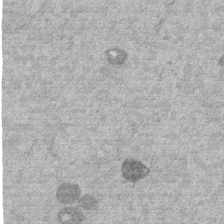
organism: Mouse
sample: Dividing mouse embryo 1 cell stage